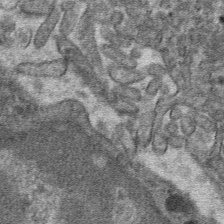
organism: Mouse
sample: Mouse hepatocytes